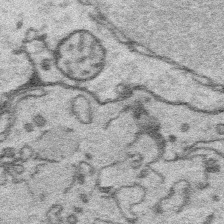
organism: Platynereis dumerilii